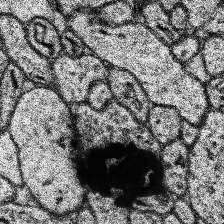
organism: Human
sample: Temporal Lobe